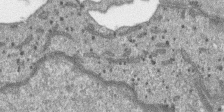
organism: Human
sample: Lung epithelial cells infected with SARS-CoV-2